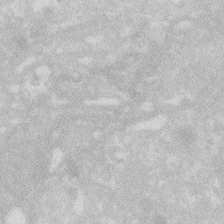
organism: Zebrafish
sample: Macrophage